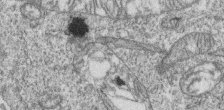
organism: Human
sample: HeLa cell HIV synapse